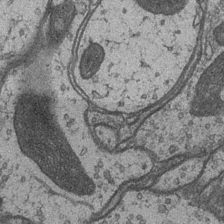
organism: Drosophila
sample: Optic medulla